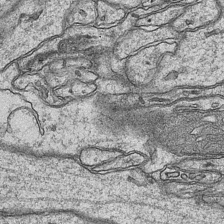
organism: Mouse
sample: CA1 Hippocampus